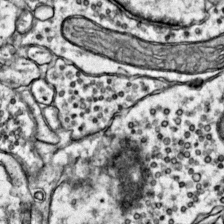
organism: Mouse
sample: Primary visual cortex